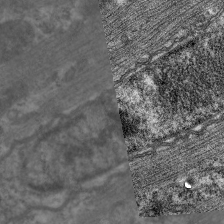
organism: C. elegans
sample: Pharynx